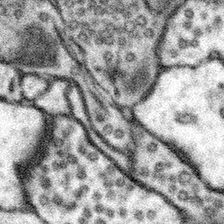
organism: Mouse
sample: Somatosensory cortex neuropil